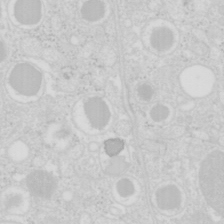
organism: Mouse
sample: Pancreas